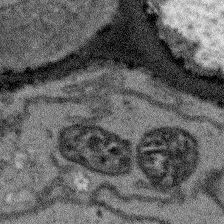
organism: Arabidopsis thaliana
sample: Root tip